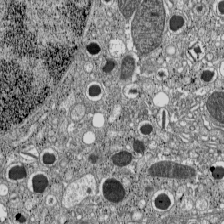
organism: C57BL Mouse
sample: Pancreatic islet